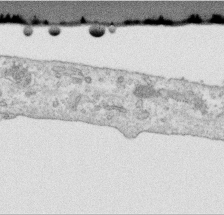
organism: Human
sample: Centriole in RPE cells